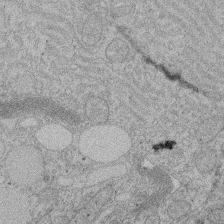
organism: Rat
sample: Salivary granule